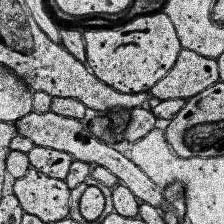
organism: Human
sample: Temporal Lobe